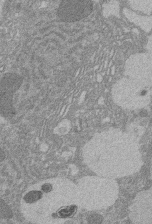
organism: Rat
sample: Salivary granule